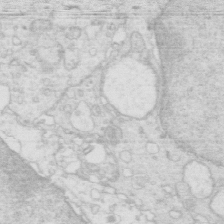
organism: Mouse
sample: Multiciliated cells